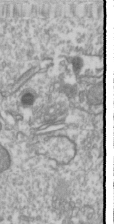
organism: Drosophila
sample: Cell division; meiosis; drosophila spermatocytes